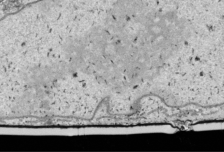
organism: Human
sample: Mitochondria in HCT116 cells